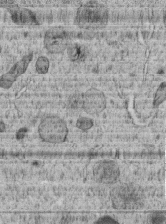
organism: C. elegans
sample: C. elegans embryo early stage